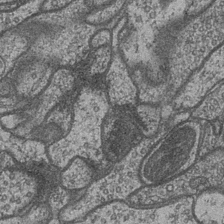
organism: Drosophila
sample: Optic medulla